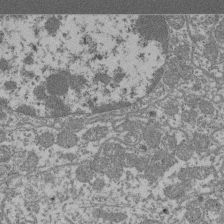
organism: Mouse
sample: Glomerulus